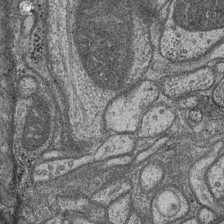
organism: Drosophila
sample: Optic medulla